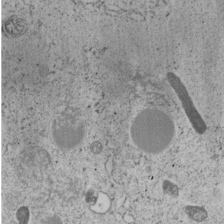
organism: C. elegans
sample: C. elegans embryo early stage